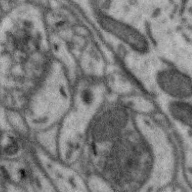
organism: Zebra finch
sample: Brain